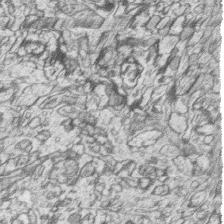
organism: Zebrafish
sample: synaptic ribbons in rod cells and cone cells